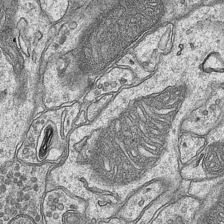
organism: Mouse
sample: CA1 Hippocampus